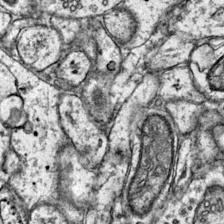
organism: Mouse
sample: Primary visual cortex